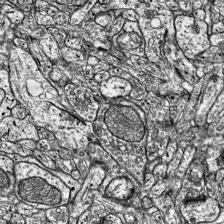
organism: Mouse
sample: Visual Cortex